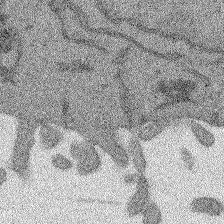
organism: Human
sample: HeLa cells